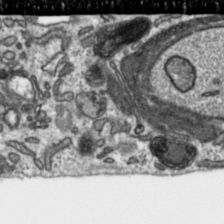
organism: Toxoplasma gondii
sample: Parasites in a vacuole inside a host cell